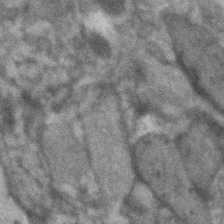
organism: Human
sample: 1205lu cells